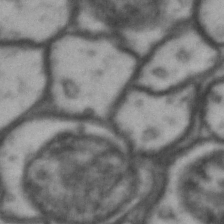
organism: Drosophila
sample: Brain